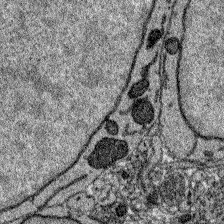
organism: Zebrafish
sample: Larval olfactory bulb